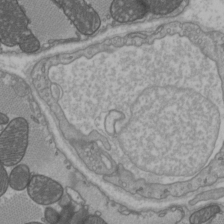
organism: C57BL Mouse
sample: Heart